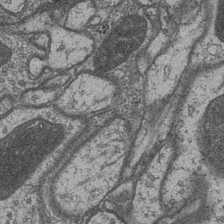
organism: Drosophila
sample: Optic medulla